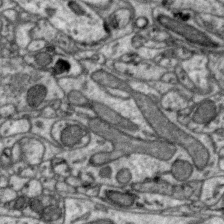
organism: Zebra finch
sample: Brain